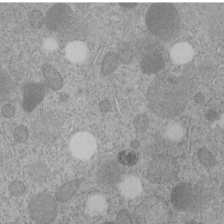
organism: C. elegans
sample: C. elegans embryo early stage